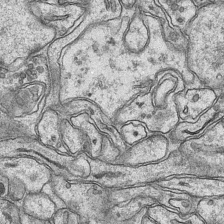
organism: Mouse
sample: CA1 Hippocampus